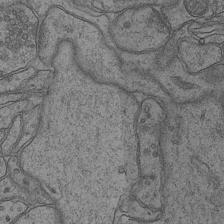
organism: Mouse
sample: CA1 Hippocampus